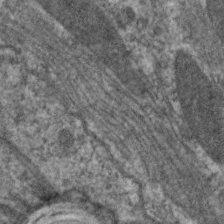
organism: C. elegans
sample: Pharynx